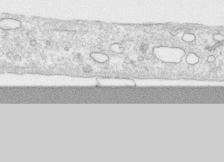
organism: Human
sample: CRL-1474